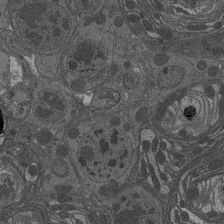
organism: Drosophila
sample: Antenna